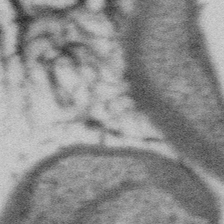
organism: Gemmata obscuriglobus